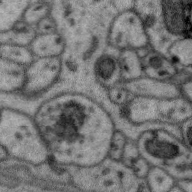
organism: Zebra finch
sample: Brain